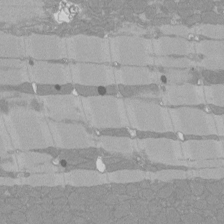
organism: Rat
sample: Left ventricle